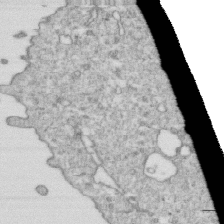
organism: Mouse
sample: Activated OT-1 CD8+ T cells